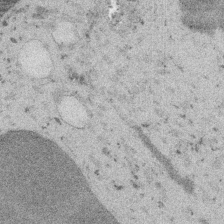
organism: Embia sp.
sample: Silk gland